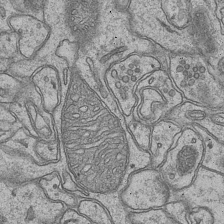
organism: Mouse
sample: CA1 Hippocampus